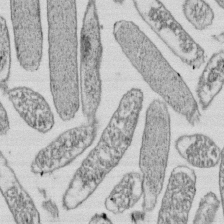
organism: E. coli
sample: Bacterial nucleoid